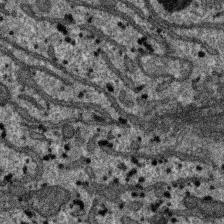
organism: Human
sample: Lung epithelial cells infected with SARS-CoV-2